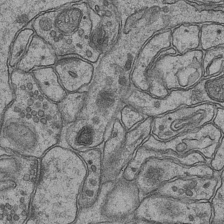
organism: Mouse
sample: CA1 Hippocampus